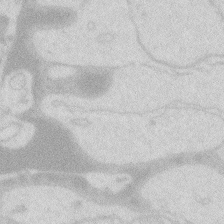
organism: Zebrafish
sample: Macrophage